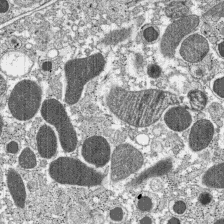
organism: C57BL Mouse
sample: Pancreatic islet